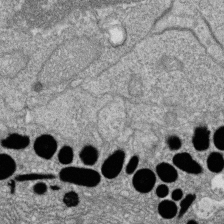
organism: Zebrafish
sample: Cilia; retinal pigment epithelium